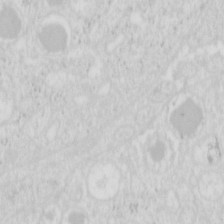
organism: Mouse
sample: Pancreas